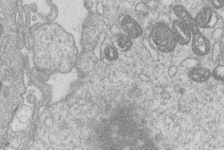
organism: Human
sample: Macrophage cells